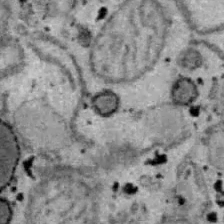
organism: Mouse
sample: Liver from an obese (ob/ob) mouse